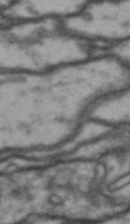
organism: Drosophila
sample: Brain